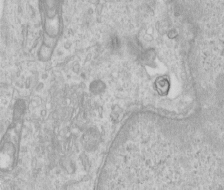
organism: Human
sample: Centriole in RPE cells